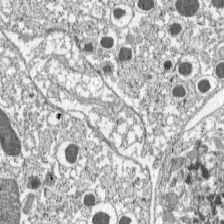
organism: C57BL Mouse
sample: Pancreatic islet